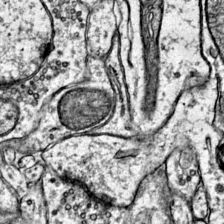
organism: Mouse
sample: Primary visual cortex